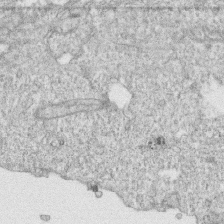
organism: Human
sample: HeLa cell HIV synapse